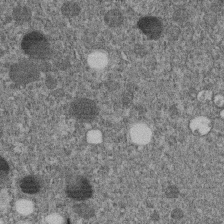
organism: C. elegans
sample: C. elegans embryo early stage